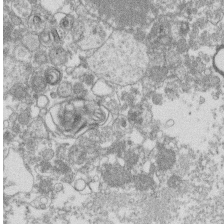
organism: Human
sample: HeLa cell HIV synapse